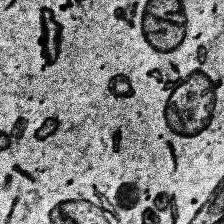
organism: Human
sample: Temporal Lobe